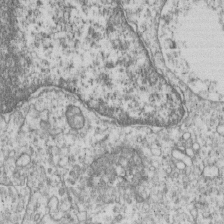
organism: Human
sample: MDA-MB-231 cells